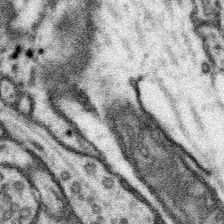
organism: Mouse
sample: Somatosensory cortex neuropil